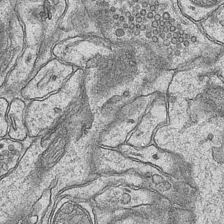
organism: Mouse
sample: CA1 Hippocampus